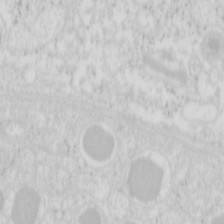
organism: Mouse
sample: Pancreas